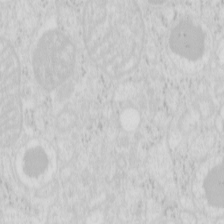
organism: Mouse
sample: Pancreas